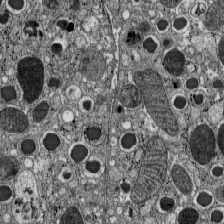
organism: C57BL Mouse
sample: Pancreatic islet